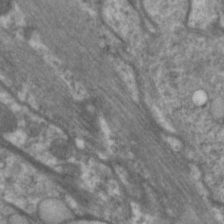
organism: C. elegans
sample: Pharynx